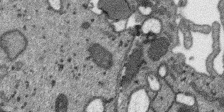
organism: Human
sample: Lung epithelial cells infected with SARS-CoV-2